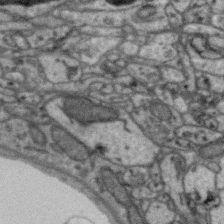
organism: Zebra finch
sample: Brain